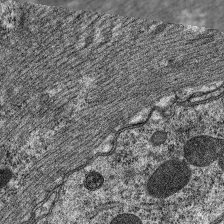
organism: C. elegans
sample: Pharynx